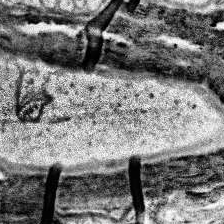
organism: Human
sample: Temporal Lobe